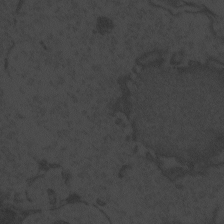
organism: Zebrafish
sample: Macrophage infected with Toxoplasma gondii